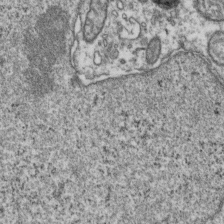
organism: Human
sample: Activated Jurkat CD4+ T cells